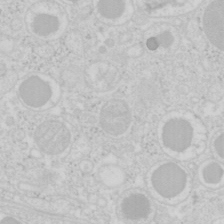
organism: Mouse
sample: Pancreas